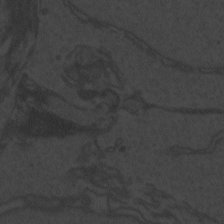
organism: Zebrafish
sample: Macrophage infected with Toxoplasma gondii